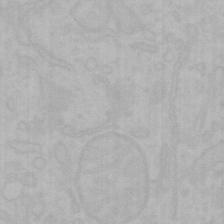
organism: Mouse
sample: Choroid plexus